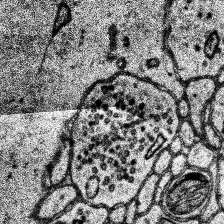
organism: Human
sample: Temporal Lobe